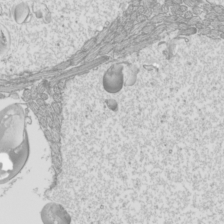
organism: Mouse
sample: Cilia; mouse epididymis